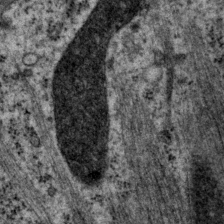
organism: P. pacificus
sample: Pharynx